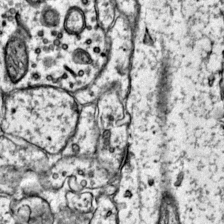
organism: Mouse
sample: Primary visual cortex